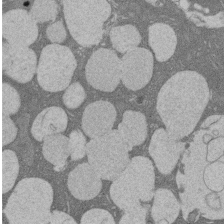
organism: Rat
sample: Salivary granule